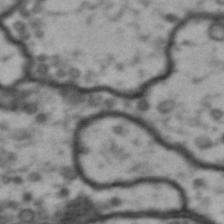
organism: Drosophila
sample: Brain